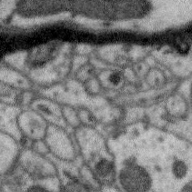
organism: Zebra finch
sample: Brain